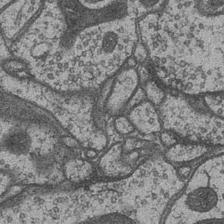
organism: Drosophila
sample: Optic medulla